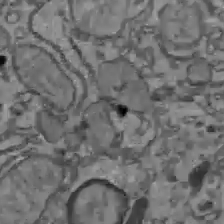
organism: C57BL Mouse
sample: Liver